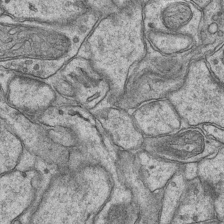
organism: Mouse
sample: CA1 Hippocampus